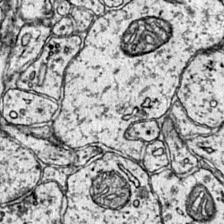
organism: Mouse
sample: Primary visual cortex